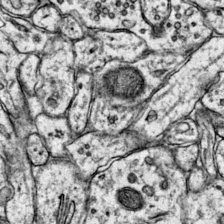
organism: Mouse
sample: Primary visual cortex